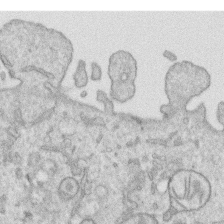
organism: Human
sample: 1205lu cells